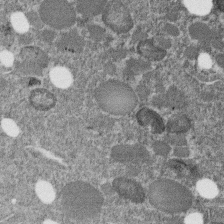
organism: C. elegans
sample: C. elegans embryo early stage